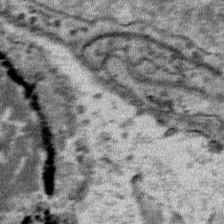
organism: Mouse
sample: Mouse Salivary gland